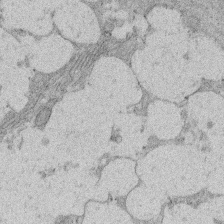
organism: Rat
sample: Salivary granule